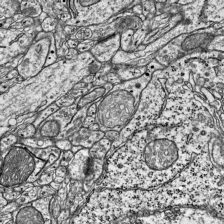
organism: Mouse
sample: Visual Cortex